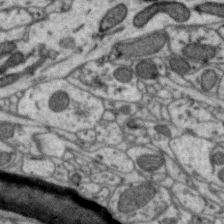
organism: Zebra finch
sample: Brain